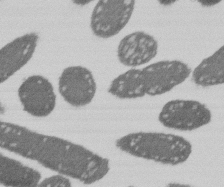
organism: E. coli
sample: Bacterial nucleoid